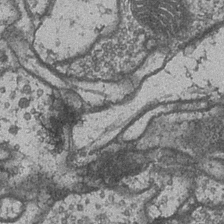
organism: Drosophila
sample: Optic medulla